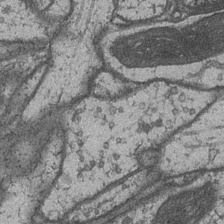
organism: Drosophila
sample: Optic medulla